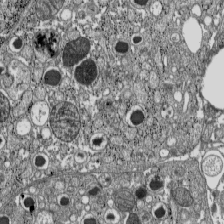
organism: C57BL Mouse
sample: Pancreatic islet